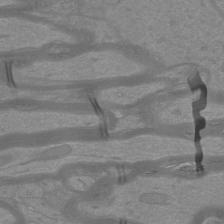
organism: Mouse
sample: Cortical neurons